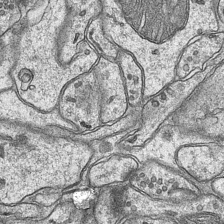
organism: Mouse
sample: CA1 Hippocampus